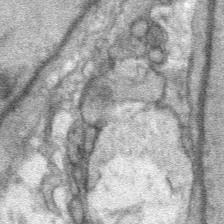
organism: Mouse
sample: Mouse Salivary gland